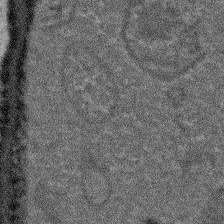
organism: Arabidopsis thaliana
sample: Root tip